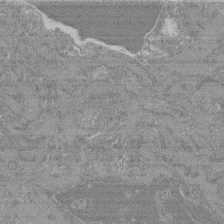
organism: Mouse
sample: Glomerulus